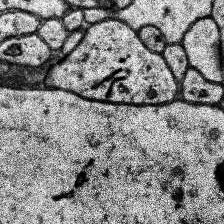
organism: Human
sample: Temporal Lobe